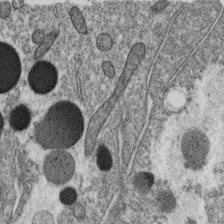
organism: C. elegans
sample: C. elegans oocyte; sperm cells